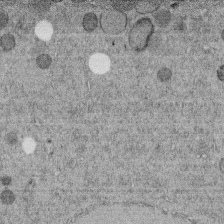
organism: C. elegans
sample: C. elegans embryo early stage